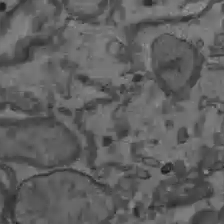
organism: C57BL Mouse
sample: Liver